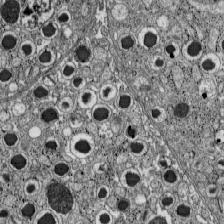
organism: C57BL Mouse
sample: Pancreatic islet